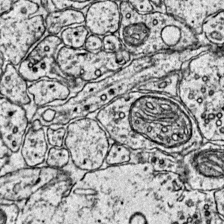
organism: Mouse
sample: Primary visual cortex